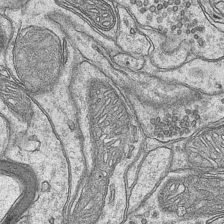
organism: Mouse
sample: CA1 Hippocampus